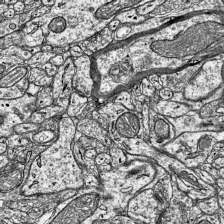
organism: Mouse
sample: Visual Cortex